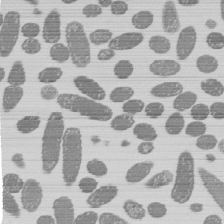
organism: E. coli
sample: Bacterial nucleoid